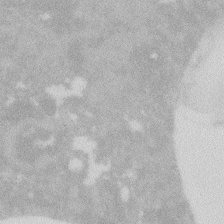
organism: Zebrafish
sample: Macrophage